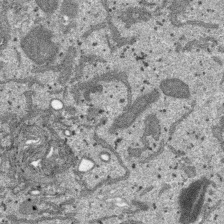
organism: Human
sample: Lung epithelial cells infected with SARS-CoV-2